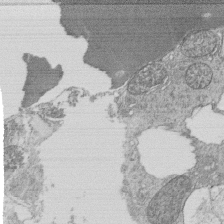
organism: Tetrahymena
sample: Cilia in tetrahymena